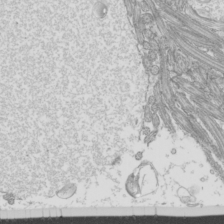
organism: Mouse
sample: Cilia; mouse epididymis